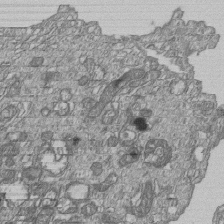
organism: Human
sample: MDA-MB-231 cells